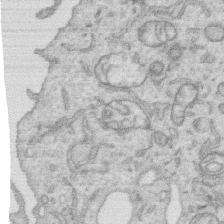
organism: Human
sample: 1205lu cells